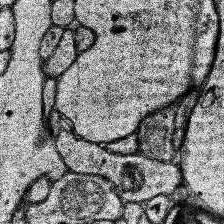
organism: Human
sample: Temporal Lobe